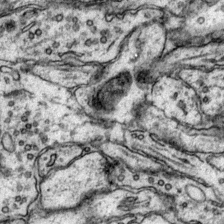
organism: Mouse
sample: Primary visual cortex